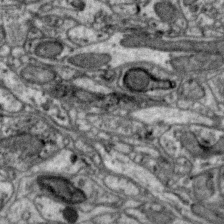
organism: Zebra finch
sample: Brain